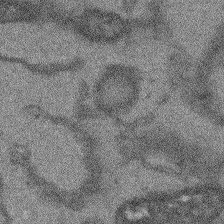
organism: Arabidopsis thaliana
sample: Root tip